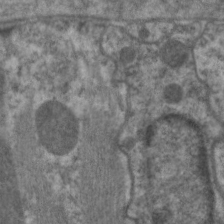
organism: C. elegans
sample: Pharynx